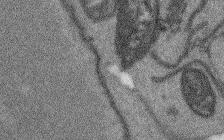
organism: Arabidopsis thaliana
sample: Root tip